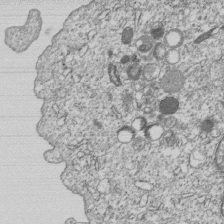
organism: Human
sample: MDA-MB-231 cells